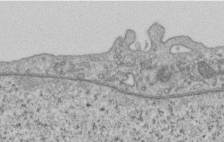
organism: Human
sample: Centriole in RPE cells